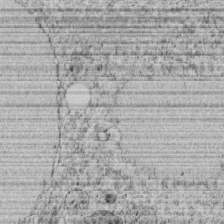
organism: C. elegans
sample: C. elegans embryo early stage